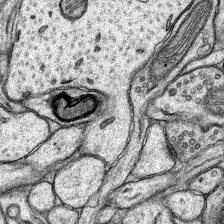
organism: Rat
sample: Hippocampus